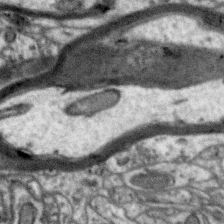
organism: Zebra finch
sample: Brain